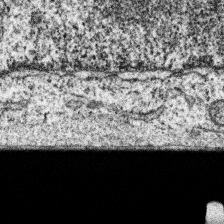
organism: Human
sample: HeLa cells